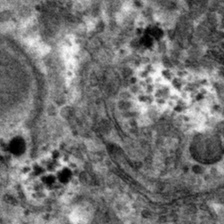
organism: Mouse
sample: Mouse hepatocytes